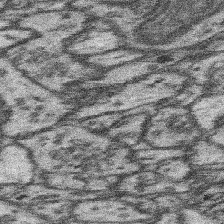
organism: Mouse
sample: Somatosensory cortex neuropil